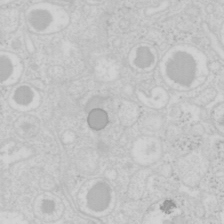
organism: Mouse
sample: Pancreas